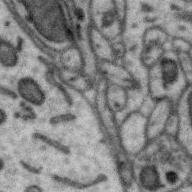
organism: Zebra finch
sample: Brain